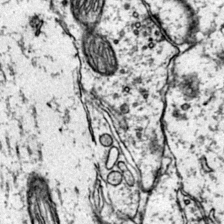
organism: Mouse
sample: Primary visual cortex